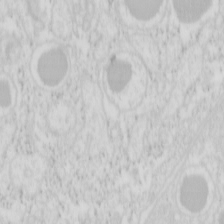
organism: Mouse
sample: Pancreas